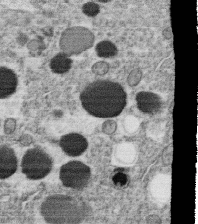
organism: C. elegans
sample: C. elegans oocyte; sperm cells